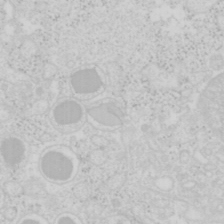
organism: Mouse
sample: Pancreas